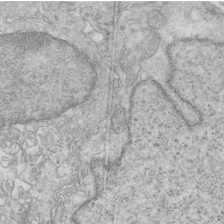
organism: Mouse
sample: Multiciliated cells